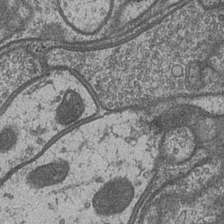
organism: Drosophila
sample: Optic medulla